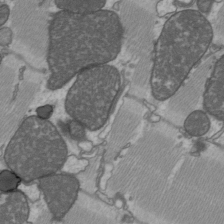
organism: C57BL Mouse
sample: Heart